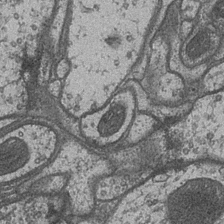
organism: Drosophila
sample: Optic medulla